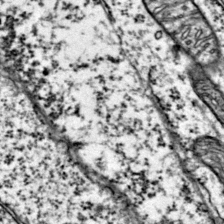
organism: Mouse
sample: Primary visual cortex